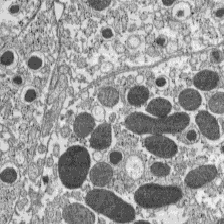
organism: C57BL Mouse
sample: Pancreatic islet